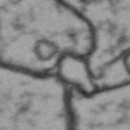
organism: Drosophila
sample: Brain